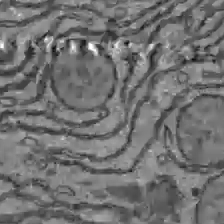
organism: C57BL Mouse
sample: Liver